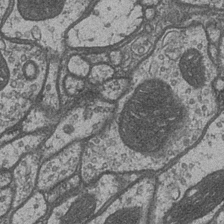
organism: Drosophila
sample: Optic medulla